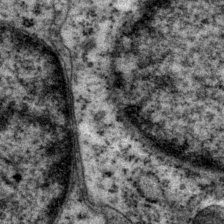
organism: P. pacificus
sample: Pharynx